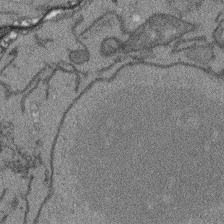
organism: Arabidopsis thaliana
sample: Root tip